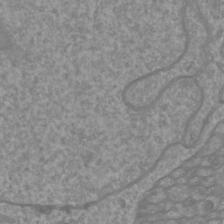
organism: Mouse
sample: Cortical neurons